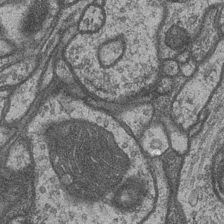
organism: Drosophila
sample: Optic medulla